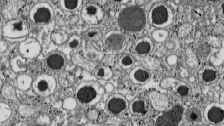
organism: C57BL Mouse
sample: Pancreatic islet